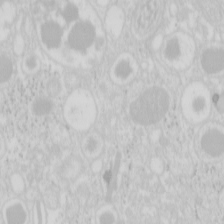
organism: Mouse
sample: Pancreas